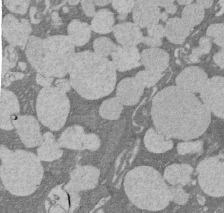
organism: Rat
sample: Salivary granule